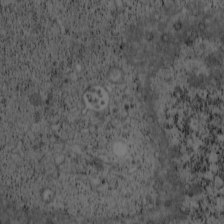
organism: African green monkey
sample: COS-7 cells